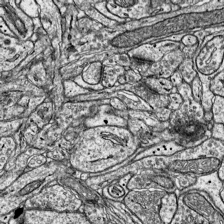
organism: Mouse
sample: Visual Cortex